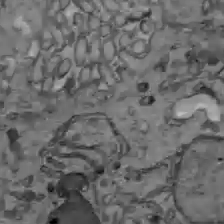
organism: C57BL Mouse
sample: Liver